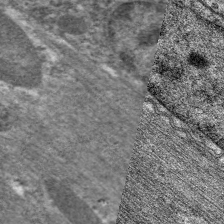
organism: C. elegans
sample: Pharynx